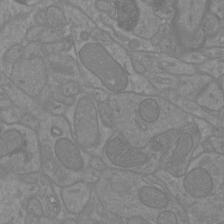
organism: Mouse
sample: Cortical neurons